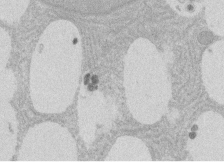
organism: Rat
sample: Salivary granule